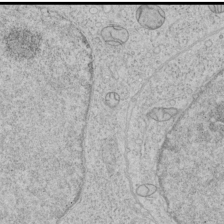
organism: Human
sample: Mitochondria in HCT116 cells